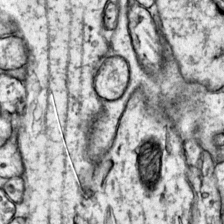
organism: Mouse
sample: Primary visual cortex